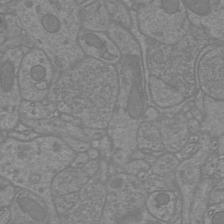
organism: Mouse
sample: Cortical neurons